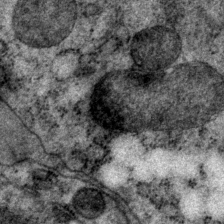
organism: P. pacificus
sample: Pharynx